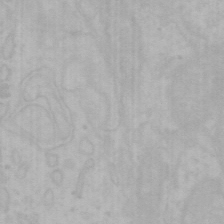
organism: Mouse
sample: Choroid plexus